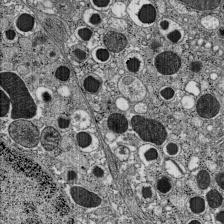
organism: C57BL Mouse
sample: Pancreatic islet